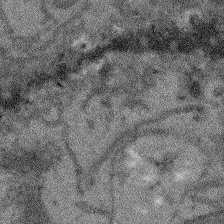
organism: Arabidopsis thaliana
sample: Root tip